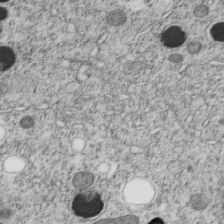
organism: C. elegans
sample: C. elegans embryo early stage